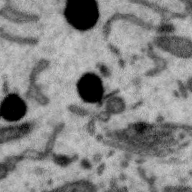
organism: Zebra finch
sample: Brain